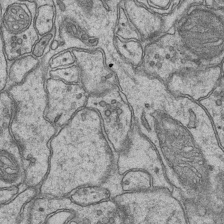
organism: Mouse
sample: CA1 Hippocampus